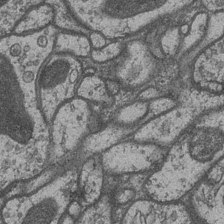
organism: Drosophila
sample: Optic medulla